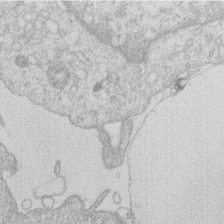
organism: Human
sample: Macrophage cells